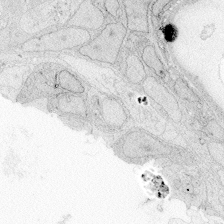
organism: Zebrafish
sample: Whole-Brain